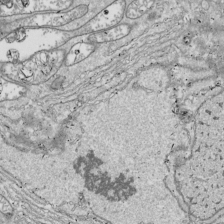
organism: Drosophila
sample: Cell division; meiosis; drosophila spermatocytes